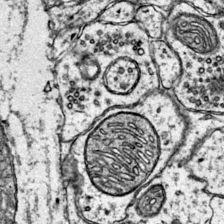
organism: Mouse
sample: Primary visual cortex